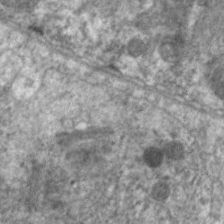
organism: C. elegans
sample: Pharynx